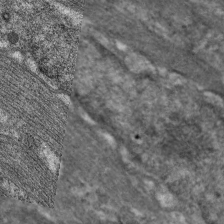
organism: C. elegans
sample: Pharynx